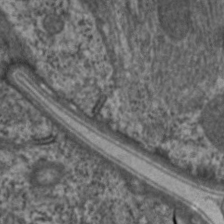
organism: C. elegans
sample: Pharynx